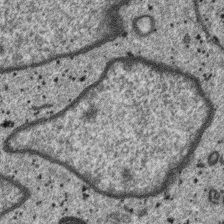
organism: Human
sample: Lung epithelial cells infected with SARS-CoV-2